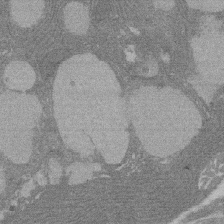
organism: Rat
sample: Salivary granule